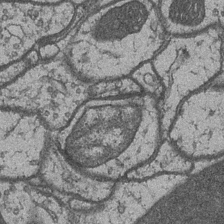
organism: Drosophila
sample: Optic medulla